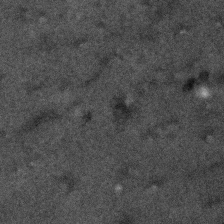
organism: Human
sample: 1205lu cells